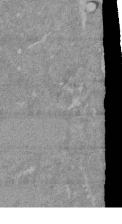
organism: Mouse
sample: ED-1 cell nuclei; centrioles